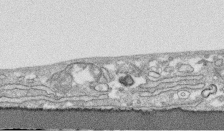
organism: Human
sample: CRL-1474